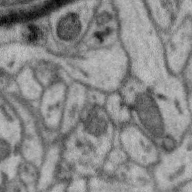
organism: Zebra finch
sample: Brain